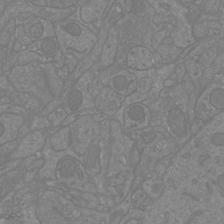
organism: Mouse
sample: Cortical neurons